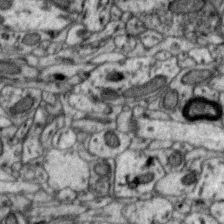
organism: Zebra finch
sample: Brain